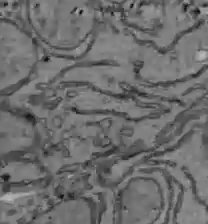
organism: C57BL Mouse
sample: Liver